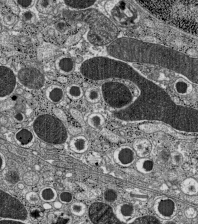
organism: C57BL Mouse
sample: Pancreatic islet